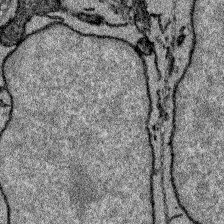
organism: Zebrafish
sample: Larval olfactory bulb